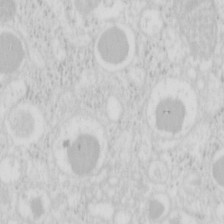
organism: Mouse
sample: Pancreas